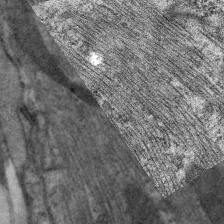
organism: C. elegans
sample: Pharynx